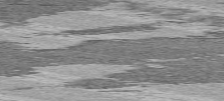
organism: C57BL Mouse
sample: Heart